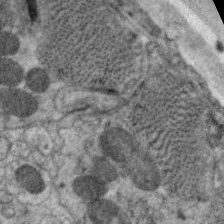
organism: C. elegans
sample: Pharynx